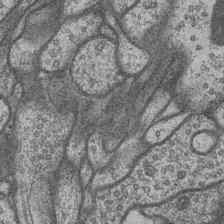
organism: Drosophila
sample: Optic medulla